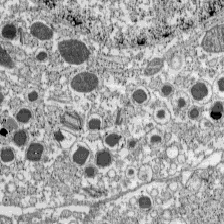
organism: C57BL Mouse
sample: Pancreatic islet